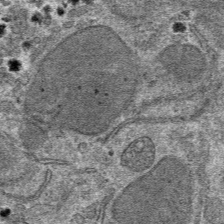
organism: Mouse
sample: Mouse hepatocytes